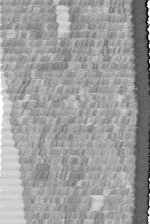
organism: Human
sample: Centriole in fibroblast cells